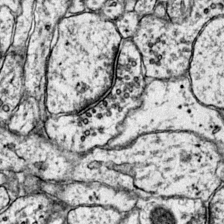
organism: Mouse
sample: Primary visual cortex